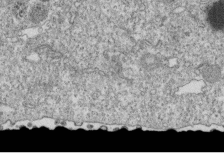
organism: Human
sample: HeLa cell HIV synapse